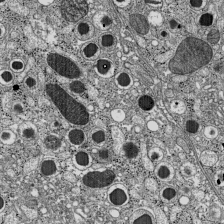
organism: C57BL Mouse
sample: Pancreatic islet